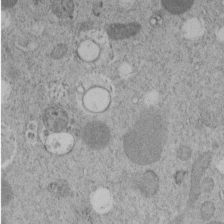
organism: C. elegans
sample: C. elegans embryo early stage